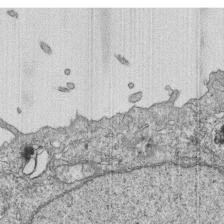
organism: Human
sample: HeLa cell HIV synapse